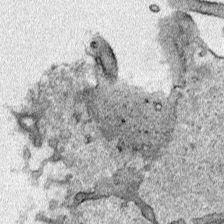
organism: Human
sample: Mitochondria in HCT116 cells